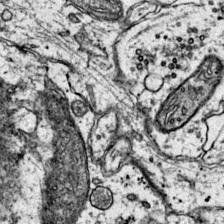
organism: Mouse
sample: Primary visual cortex